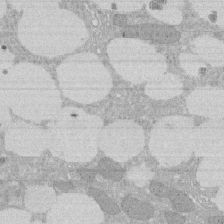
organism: Rat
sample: Salivary granule